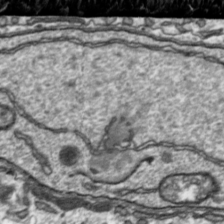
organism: Toxoplasma gondii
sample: Parasites in a vacuole inside a host cell